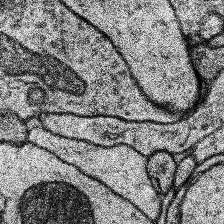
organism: Human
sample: Temporal Lobe